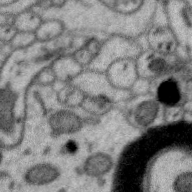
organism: Zebra finch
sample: Brain